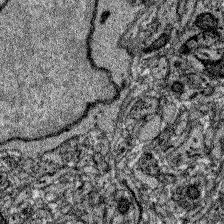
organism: Zebrafish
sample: Larval olfactory bulb